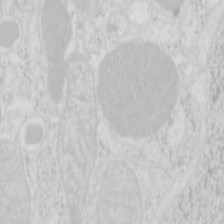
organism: Mouse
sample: Pancreas